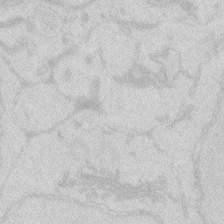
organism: Zebrafish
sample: Macrophage